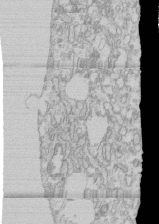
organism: Human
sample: CRL-1474